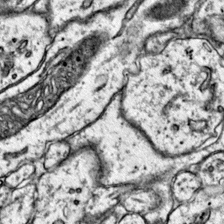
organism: Mouse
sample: Primary visual cortex